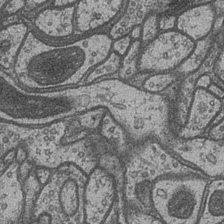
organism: Drosophila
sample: Optic medulla